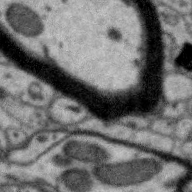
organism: Zebra finch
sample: Brain